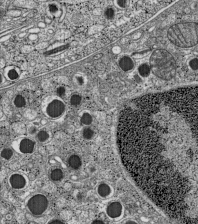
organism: C57BL Mouse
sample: Pancreatic islet